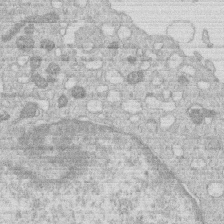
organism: Human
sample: Macrophage cells